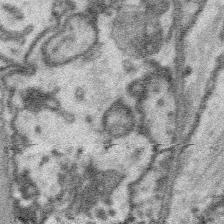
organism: Platynereis dumerilii